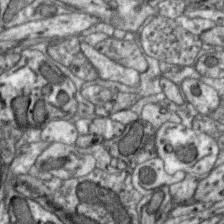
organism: Zebra finch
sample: Brain